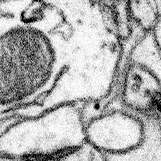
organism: Mouse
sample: Somatosensory cortex neuropil